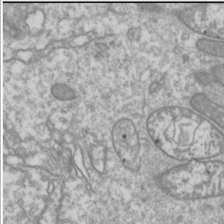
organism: Drosophila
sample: Cell division; meiosis; drosophila spermatocytes